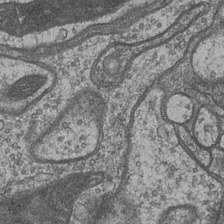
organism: Drosophila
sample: Optic medulla